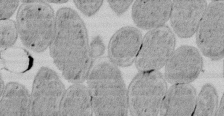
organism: E. coli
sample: Bacterial nucleoid